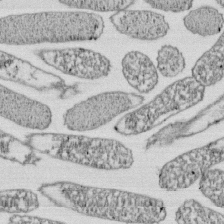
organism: E. coli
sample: Bacterial nucleoid